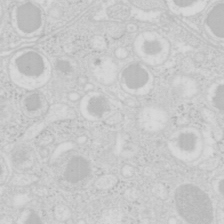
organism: Mouse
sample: Pancreas